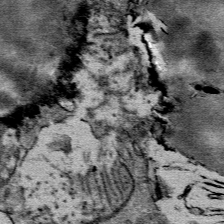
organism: Mouse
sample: Mouse Salivary gland